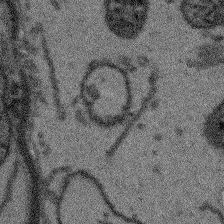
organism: Arabidopsis thaliana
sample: Root tip